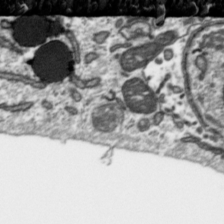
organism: Toxoplasma gondii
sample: Parasites in a vacuole inside a host cell